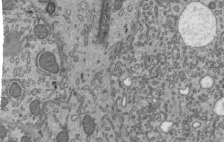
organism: Mouse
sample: Mouse epididymis efferent ductule cilia